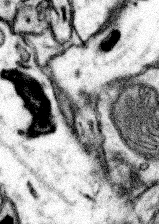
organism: Mouse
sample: Somatosensory cortex neuropil